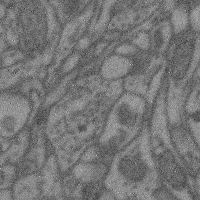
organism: Mouse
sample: Cerebral cortex